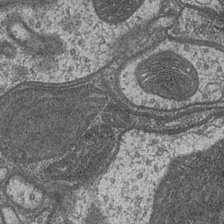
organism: Drosophila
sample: Optic medulla